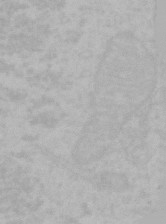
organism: Mouse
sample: Choroid plexus